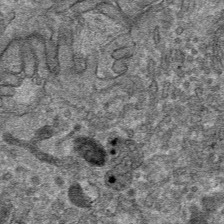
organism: Mouse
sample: Mouse hepatocytes